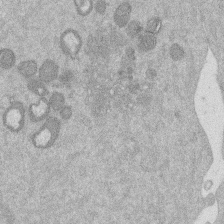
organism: Mouse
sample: Dividing mouse embryo 1 cell stage